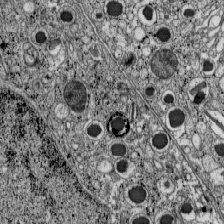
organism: C57BL Mouse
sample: Pancreatic islet